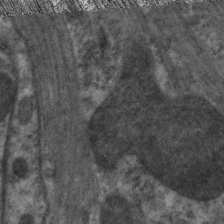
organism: C. elegans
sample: Pharynx